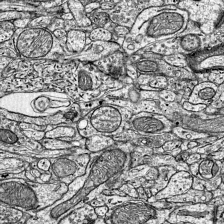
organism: Mouse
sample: Visual Cortex